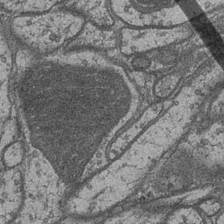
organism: Drosophila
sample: Optic medulla